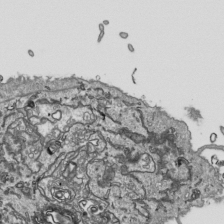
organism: Human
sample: Mitochondria in HCT116 cells